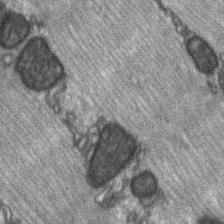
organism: C57BL Mouse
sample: Soleus